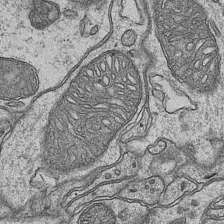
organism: Mouse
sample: CA1 Hippocampus